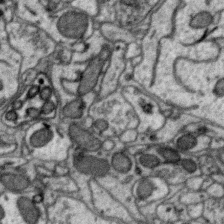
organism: Zebra finch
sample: Brain